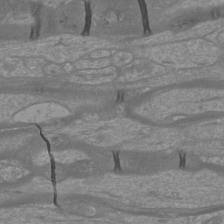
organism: Mouse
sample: Cortical neurons